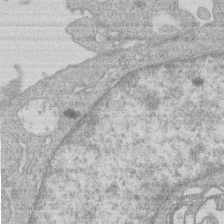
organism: Human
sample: Macrophage cells